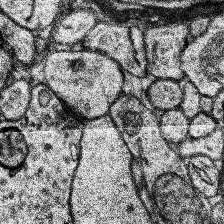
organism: Human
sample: Temporal Lobe